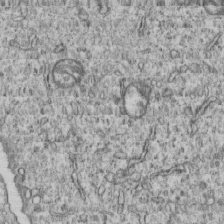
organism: Human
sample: MDA-MB-231 cells